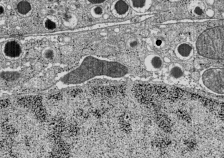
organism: C57BL Mouse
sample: Pancreatic islet